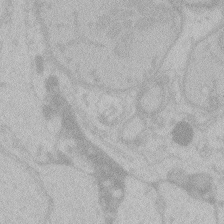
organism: Zebrafish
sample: Macrophage infected with Toxoplasma gondii